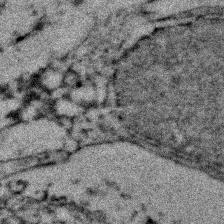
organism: Zebrafish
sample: Zebrafish embryo